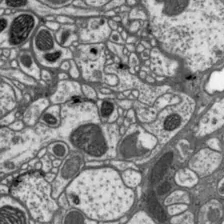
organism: Drosophila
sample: Protocerebral bridge